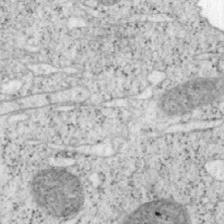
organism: Mouse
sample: OT-I killer T cells with ID8 ovarian cancer cells